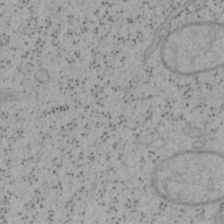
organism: Human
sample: HeLa cells